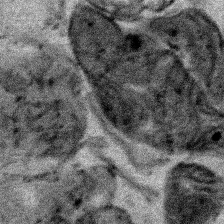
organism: Human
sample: Mitochondria in HCT116 cells